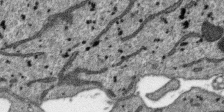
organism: Human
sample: Lung epithelial cells, uninfected (mock) control